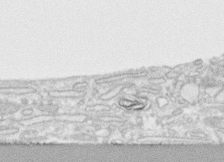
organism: Human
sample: CRL-1474